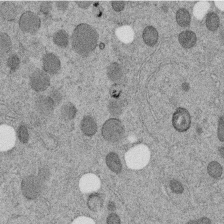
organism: C. elegans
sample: C. elegans embryo early stage